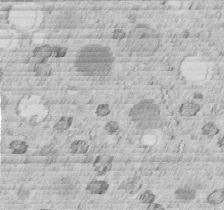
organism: C. elegans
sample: C. elegans embryo early stage